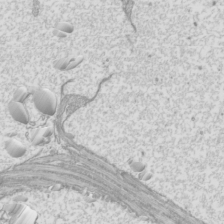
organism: Mouse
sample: Cilia; mouse epididymis